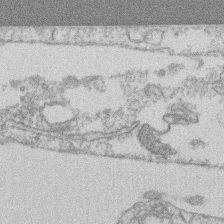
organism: Mouse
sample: T cell stromal cell synapse